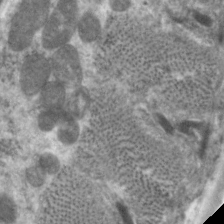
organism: C. elegans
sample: Pharynx